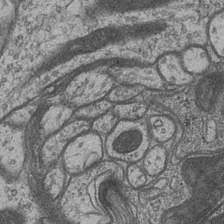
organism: Drosophila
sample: Optic medulla